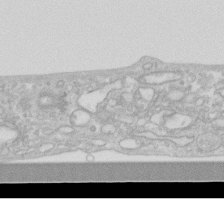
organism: Human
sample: Fibroblast cells